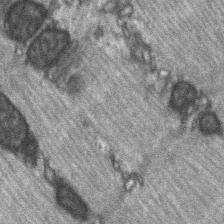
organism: C57BL Mouse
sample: Soleus